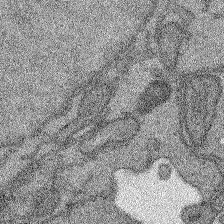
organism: Human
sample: HeLa cells